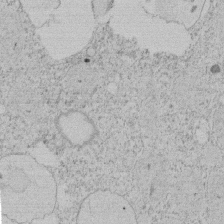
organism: Tetrahymena